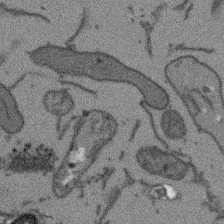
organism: Arabidopsis thaliana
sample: Root tip